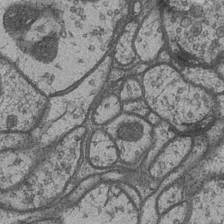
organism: Drosophila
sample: Optic medulla